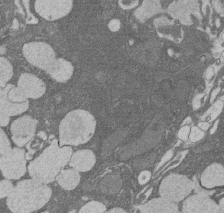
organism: Rat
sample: Salivary granule